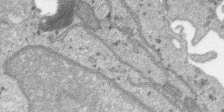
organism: Human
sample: Lung epithelial cells infected with SARS-CoV-2